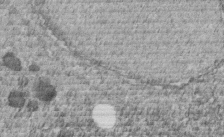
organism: C. elegans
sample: C. elegans embryo early stage